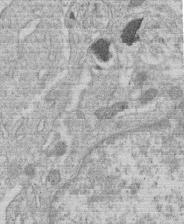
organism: Human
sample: Macrophage cells